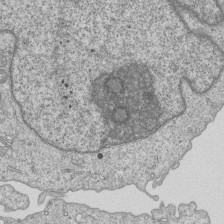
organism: Human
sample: MDA-MB-231 cells